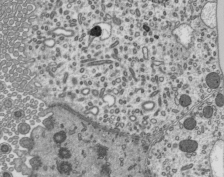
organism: Mouse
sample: Mouse epididymis efferent ductule cilia